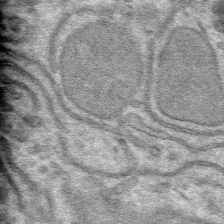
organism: Mouse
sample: Mouse hepatocytes